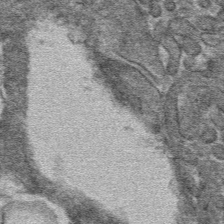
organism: Mouse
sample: Mouse hepatocytes